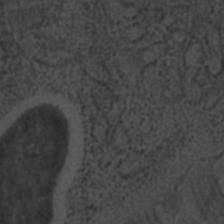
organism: C. elegans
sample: C. elegans embryo